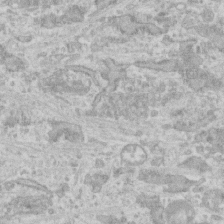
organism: Human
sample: CRL-1474